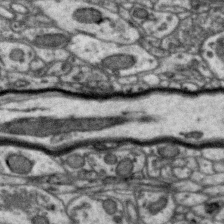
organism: Zebra finch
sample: Brain